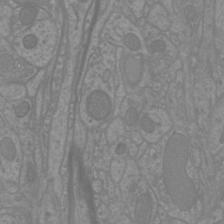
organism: Mouse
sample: Cortical neurons